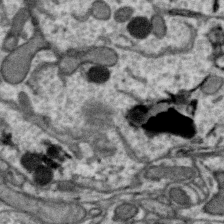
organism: Zebra finch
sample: Brain